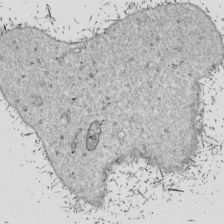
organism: Drosophila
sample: Cell division; meiosis; drosophila spermatocytes